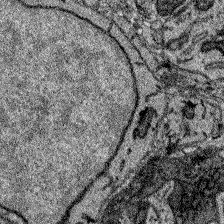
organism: Zebrafish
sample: Larval olfactory bulb